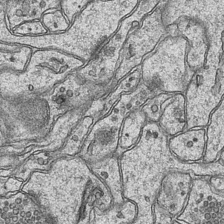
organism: Mouse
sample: CA1 Hippocampus